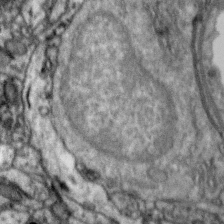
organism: Zebra finch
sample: Brain